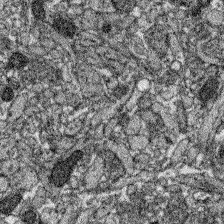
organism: Zebrafish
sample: Larval olfactory bulb